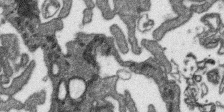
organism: Human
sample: Lung epithelial cells infected with SARS-CoV-2